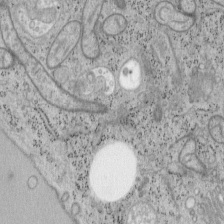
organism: Mouse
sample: OT-I killer T cells with ID8 ovarian cancer cells